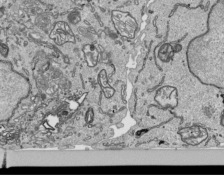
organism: Human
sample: Mitochondria in HCT116 cells